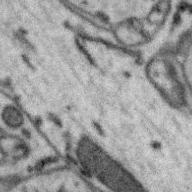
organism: Zebra finch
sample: Brain